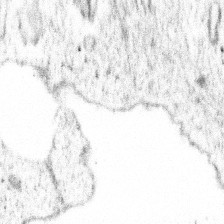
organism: Human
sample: HeLa cells